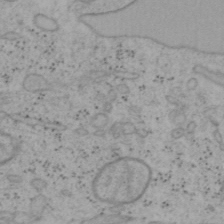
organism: Human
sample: HeLa cells